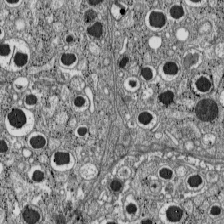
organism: C57BL Mouse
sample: Pancreatic islet